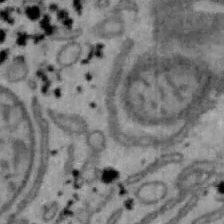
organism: Mouse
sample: Liver